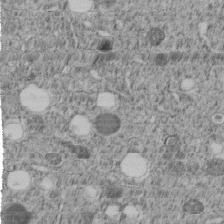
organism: C. elegans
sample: C. elegans embryo early stage